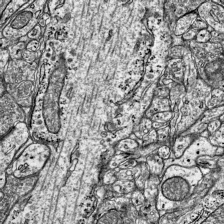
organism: Mouse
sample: Visual Cortex